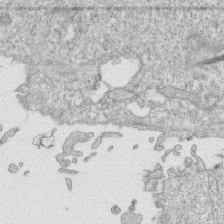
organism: Human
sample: HeLa cell HIV synapse